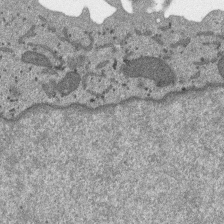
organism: Human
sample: Lung epithelial cells infected with SARS-CoV-2